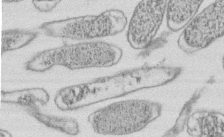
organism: E. coli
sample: Bacterial nucleoid